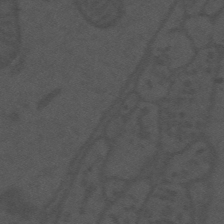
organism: Mouse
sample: Suprachiasmatic nucleus